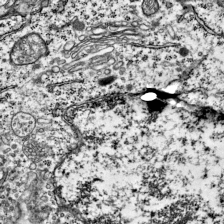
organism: Mouse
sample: Visual Cortex